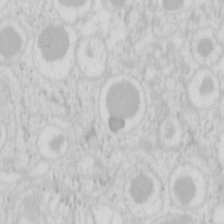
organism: Mouse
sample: Pancreas